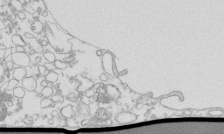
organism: Mouse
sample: Macrophages